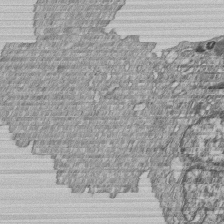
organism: Human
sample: MDA-MB-231 cells